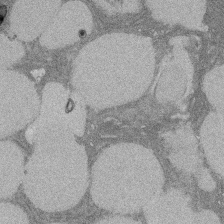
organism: Rat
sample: Salivary granule